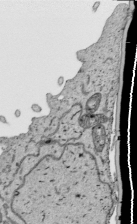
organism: Human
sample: Mitochondria in HCT116 cells